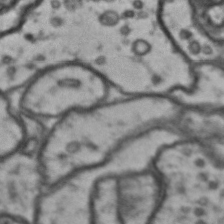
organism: Drosophila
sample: Brain